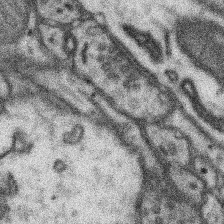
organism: Mouse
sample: Somatosensory cortex neuropil